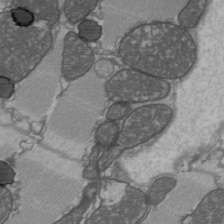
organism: C57BL Mouse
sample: Heart